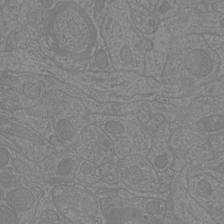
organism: Mouse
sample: Cortical neurons